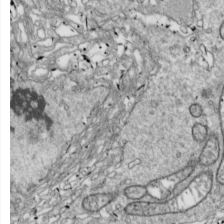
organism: Drosophila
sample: Cell division; meiosis; drosophila spermatocytes